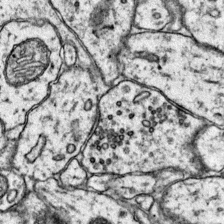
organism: Mouse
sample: Primary visual cortex